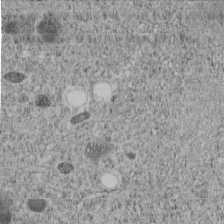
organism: C. elegans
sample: C. elegans embryo early stage